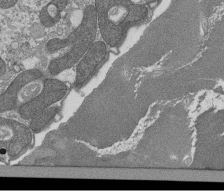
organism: Tetrahymena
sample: Cilia in tetrahymena